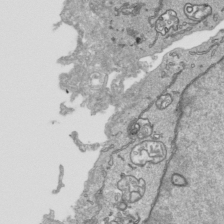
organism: Human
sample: Mitochondria in HCT116 cells